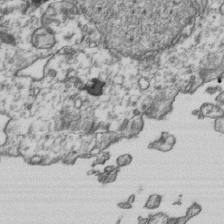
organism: Human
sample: Activated Jurkat CD4+ T cells